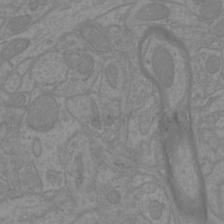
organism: Mouse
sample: Cortical neurons